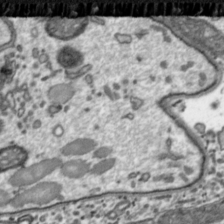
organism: Toxoplasma gondii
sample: Parasites in a vacuole inside a host cell